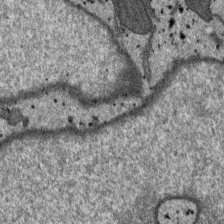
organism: Human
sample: Lung epithelial cells, uninfected (mock) control